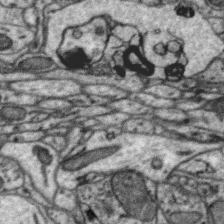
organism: Zebra finch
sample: Brain